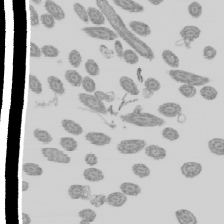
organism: Mouse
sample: Cilia; mouse epididymis